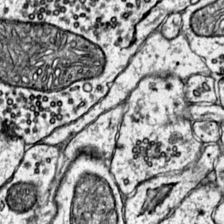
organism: Mouse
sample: Primary visual cortex